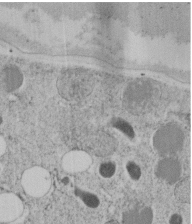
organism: C. elegans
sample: C. elegans embryo early stage